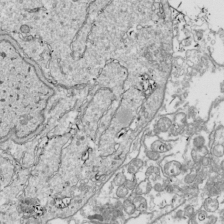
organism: Drosophila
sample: Cell division; meiosis; drosophila spermatocytes